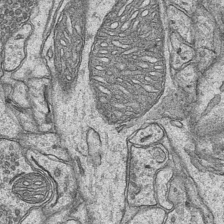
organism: Mouse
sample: CA1 Hippocampus